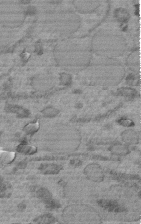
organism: C. elegans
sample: C. elegans embryo early stage